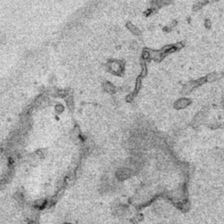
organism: Human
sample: Mitochondria in HCT116 cells